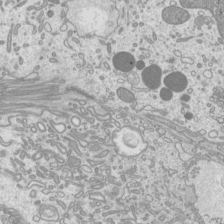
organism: Mouse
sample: Cilia; mouse epididymis